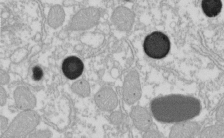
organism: Xenopus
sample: Cilia; centrioles in frog embryo cells